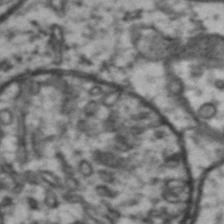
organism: Drosophila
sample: Brain